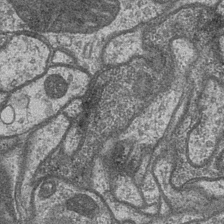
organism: Drosophila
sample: Optic medulla